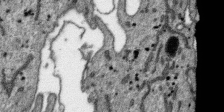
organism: Human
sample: Lung epithelial cells, uninfected (mock) control